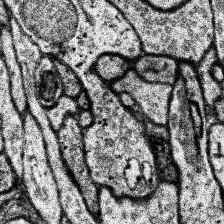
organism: Human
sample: Temporal Lobe